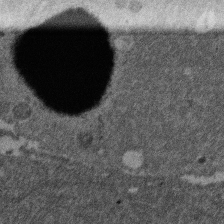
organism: Mouse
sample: Dividing mouse embryo 1 cell stage